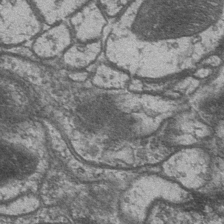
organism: Drosophila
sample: Optic medulla